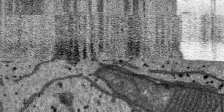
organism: Human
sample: Lung epithelial cells, uninfected (mock) control